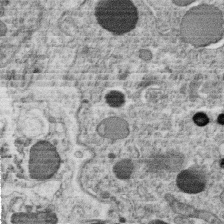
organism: C. elegans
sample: C. elegans oocyte; sperm cells